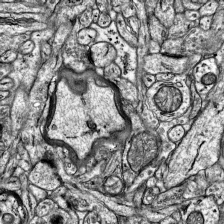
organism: Mouse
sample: Visual Cortex